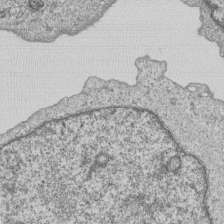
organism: Human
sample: MDA-MB-231 cells